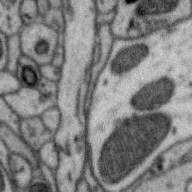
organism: Zebra finch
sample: Brain